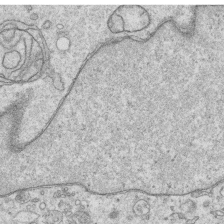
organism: Human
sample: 1205lu cells